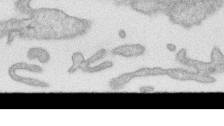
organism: Human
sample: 1205lu cells